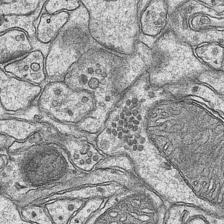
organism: Mouse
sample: CA1 Hippocampus